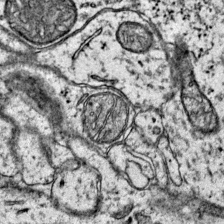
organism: Mouse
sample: Primary visual cortex